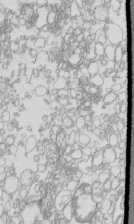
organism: Mouse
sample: Macrophages